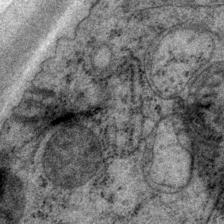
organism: P. pacificus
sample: Pharynx